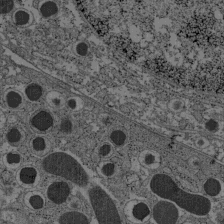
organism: C57BL Mouse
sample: Pancreatic islet